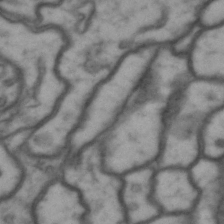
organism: Drosophila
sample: Brain